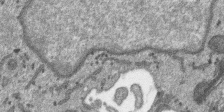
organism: Human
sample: Lung epithelial cells infected with SARS-CoV-2